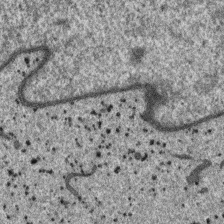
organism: Human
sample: Lung epithelial cells infected with SARS-CoV-2